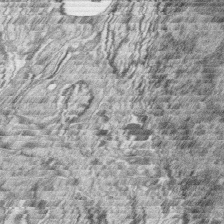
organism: Zebrafish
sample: synaptic ribbons in rod cells and cone cells